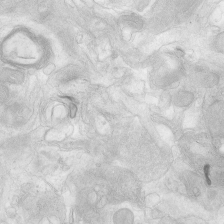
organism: Human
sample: Neocortex